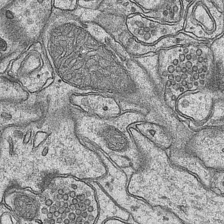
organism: Mouse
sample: CA1 Hippocampus